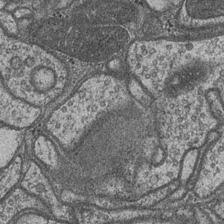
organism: Drosophila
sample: Optic medulla